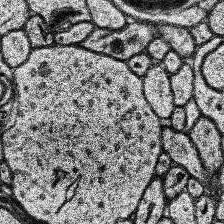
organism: Human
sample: Temporal Lobe